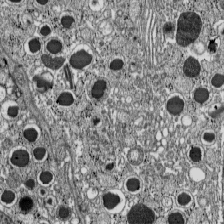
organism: C57BL Mouse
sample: Pancreatic islet